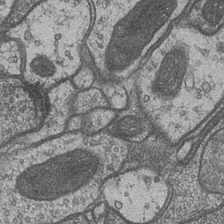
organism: Drosophila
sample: Optic medulla